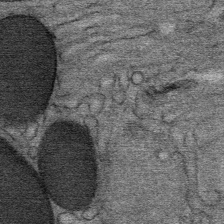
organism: Mouse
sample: Mouse Salivary gland